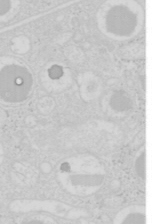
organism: Mouse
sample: Pancreas